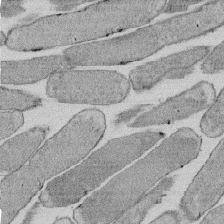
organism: E. coli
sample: Bacterial nucleoid